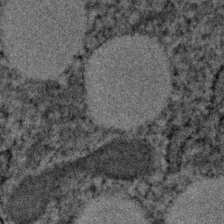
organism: Human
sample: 1205lu cells